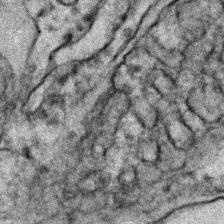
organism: Zebrafish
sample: Zebrafish embryo